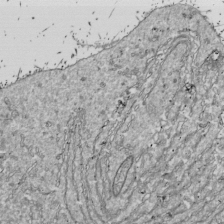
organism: Drosophila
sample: Cell division; meiosis; drosophila spermatocytes